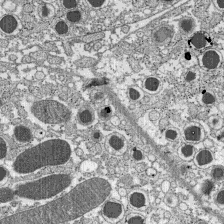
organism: C57BL Mouse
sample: Pancreatic islet